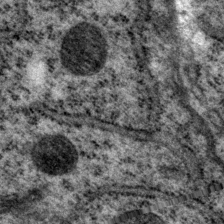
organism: P. pacificus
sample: Pharynx